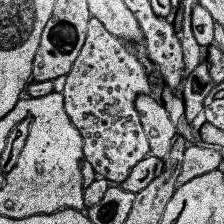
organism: Human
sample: Temporal Lobe